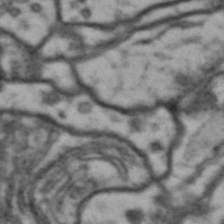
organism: Drosophila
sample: Brain